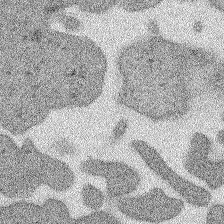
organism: Human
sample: HeLa cells